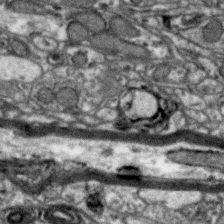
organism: Zebra finch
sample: Brain